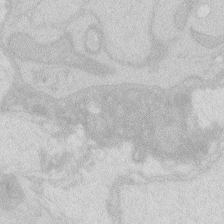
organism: Zebrafish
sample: Macrophage